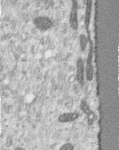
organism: Human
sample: Centriole in RPE cells